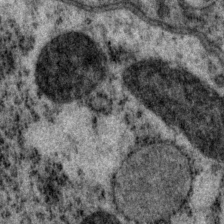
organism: P. pacificus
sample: Pharynx